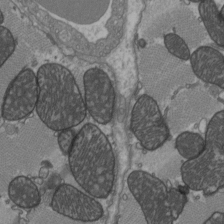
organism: C57BL Mouse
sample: Heart